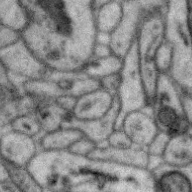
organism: Zebra finch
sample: Brain